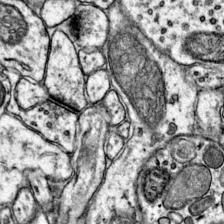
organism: Mouse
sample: Primary visual cortex